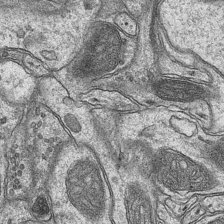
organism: Mouse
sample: CA1 Hippocampus